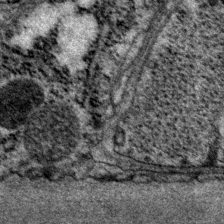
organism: P. pacificus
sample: Pharynx